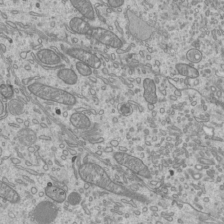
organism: Mouse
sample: Cilia; mouse epididymis